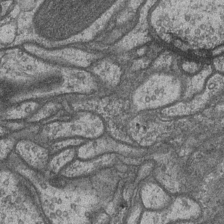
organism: Drosophila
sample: Optic medulla